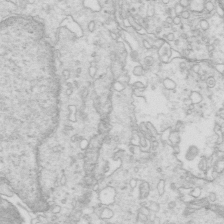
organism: Mouse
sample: Multiciliated cells